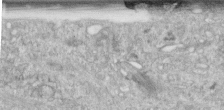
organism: Human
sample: Centriole in RPE cells